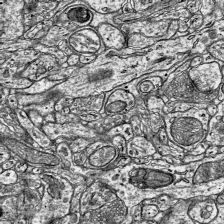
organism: Mouse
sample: Visual Cortex